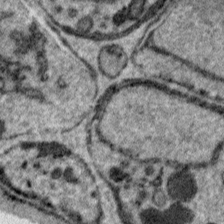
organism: Plasmodium falciparum